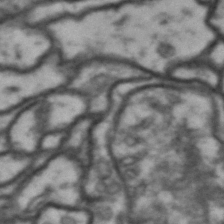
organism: Drosophila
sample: Brain